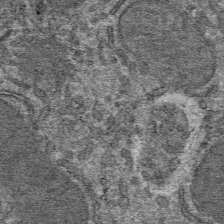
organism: Mouse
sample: Mouse hepatocytes